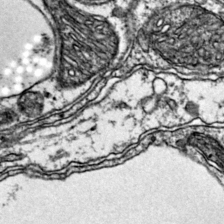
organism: Mouse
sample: Primary visual cortex